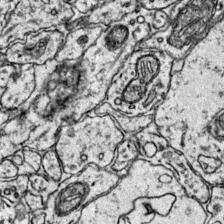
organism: Mouse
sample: Primary visual cortex